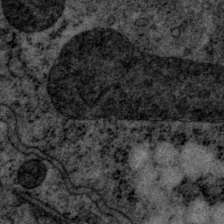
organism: P. pacificus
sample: Pharynx